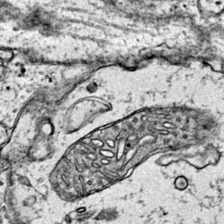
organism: Mouse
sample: Primary visual cortex